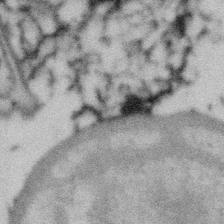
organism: Gemmata obscuriglobus